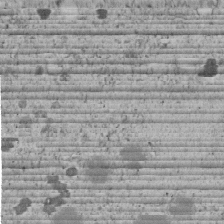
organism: C. elegans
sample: C. elegans embryo early stage